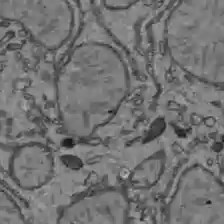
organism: C57BL Mouse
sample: Liver